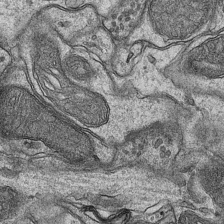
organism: Mouse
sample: CA1 Hippocampus